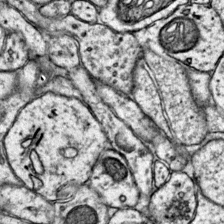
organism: Mouse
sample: Primary visual cortex